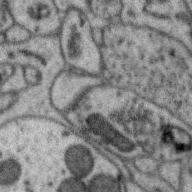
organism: Zebra finch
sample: Brain